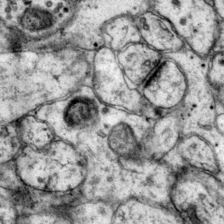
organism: Mouse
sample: Primary visual cortex